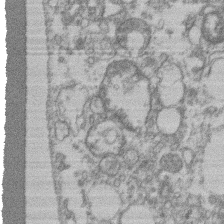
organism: Mouse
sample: T cell stromal cell synapse